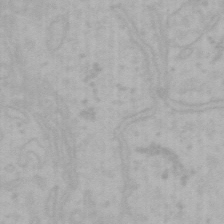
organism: Mouse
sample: Choroid plexus